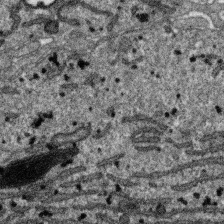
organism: Human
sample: Lung epithelial cells infected with SARS-CoV-2